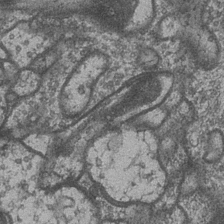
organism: Drosophila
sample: Optic medulla